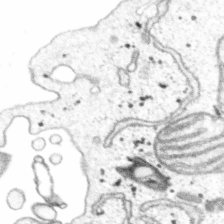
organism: Human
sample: HeLa cells